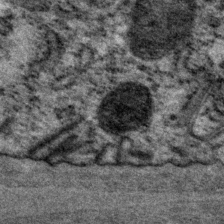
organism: P. pacificus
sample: Pharynx